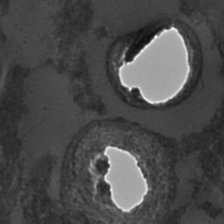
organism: C. elegans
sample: C. elegans embryo